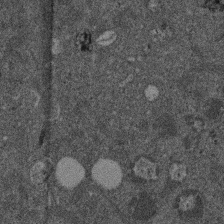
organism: Mouse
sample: Dividing mouse embryo 1 cell stage